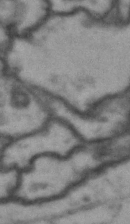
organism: Drosophila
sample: Brain